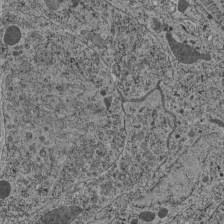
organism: C. elegans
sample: C. elegans pharynx